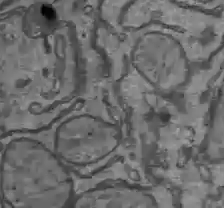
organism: C57BL Mouse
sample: Liver